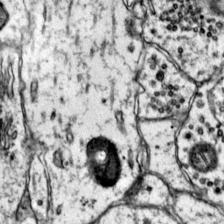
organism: Mouse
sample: Primary visual cortex